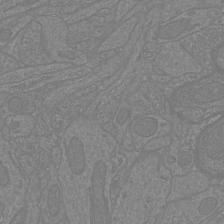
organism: Mouse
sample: Cortical neurons